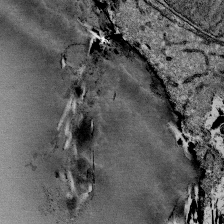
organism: Mouse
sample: Mouse Salivary gland